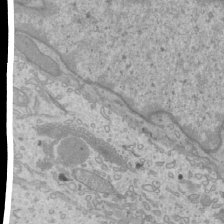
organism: Mouse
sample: Cilia; mouse epididymis